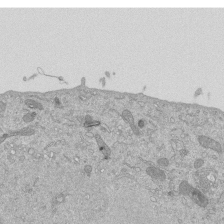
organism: Mouse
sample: ED-1 cell nuclei; centrioles